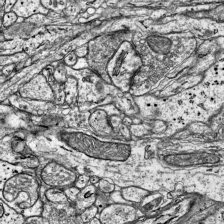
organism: Mouse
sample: Visual Cortex